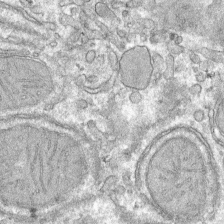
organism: Mouse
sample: Mouse hepatocytes